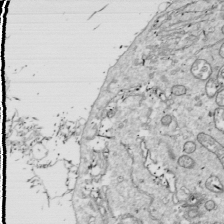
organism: Drosophila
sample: Cell division; meiosis; drosophila spermatocytes